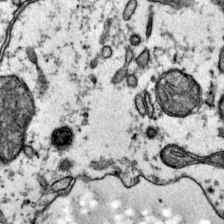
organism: Mouse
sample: Primary visual cortex